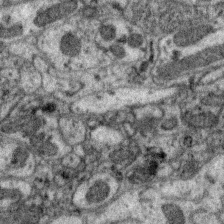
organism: Zebra finch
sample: Brain